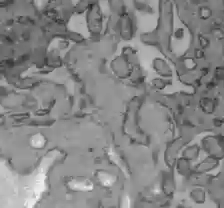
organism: C57BL Mouse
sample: Liver